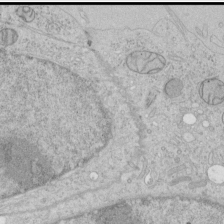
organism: Human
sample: Mitochondria in HCT116 cells